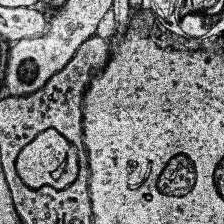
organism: Human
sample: Temporal Lobe